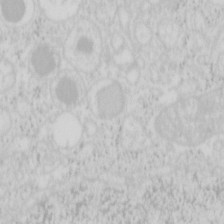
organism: Mouse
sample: Pancreas